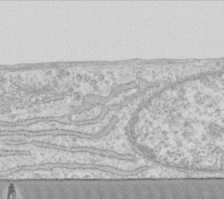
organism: Human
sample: Fibroblast cells